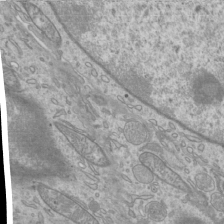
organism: Mouse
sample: Cilia; mouse epididymis